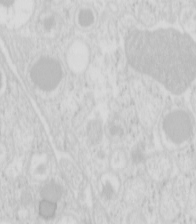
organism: Mouse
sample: Pancreas